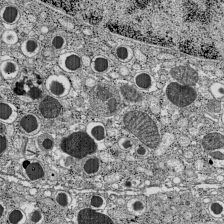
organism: C57BL Mouse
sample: Pancreatic islet